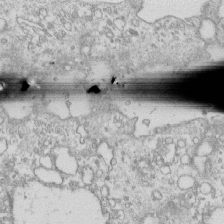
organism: Mouse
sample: Macrophages